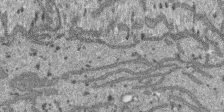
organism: Human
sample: Lung epithelial cells infected with SARS-CoV-2